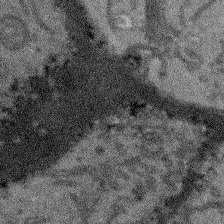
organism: Arabidopsis thaliana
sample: Root tip